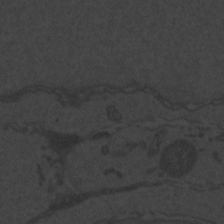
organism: Zebrafish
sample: Macrophage infected with Toxoplasma gondii